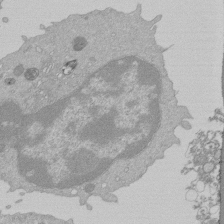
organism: Mouse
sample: Activated Pmel transgenic CD8+ T Cells